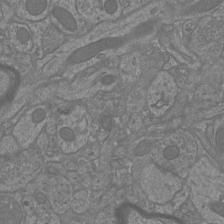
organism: Mouse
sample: Cortical neurons